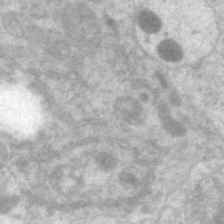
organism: C. elegans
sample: Pharynx